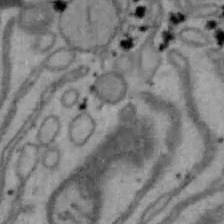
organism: Mouse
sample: Liver